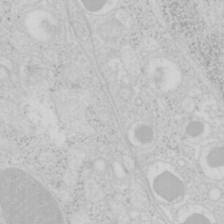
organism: Mouse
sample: Pancreas